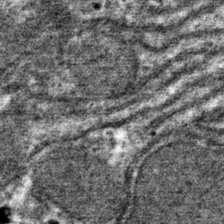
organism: Mouse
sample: Mouse hepatocytes